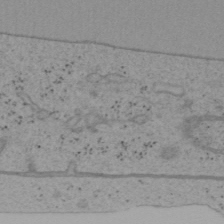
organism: Human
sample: HeLa cells